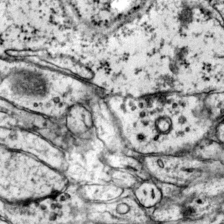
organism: Mouse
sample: Primary visual cortex